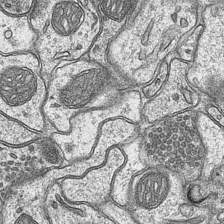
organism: Mouse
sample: CA1 Hippocampus